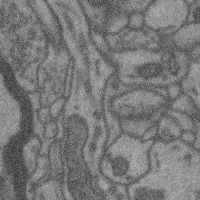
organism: Mouse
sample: Cerebral cortex